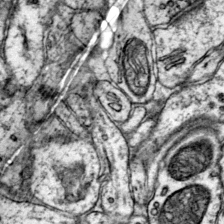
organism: Mouse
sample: Primary visual cortex